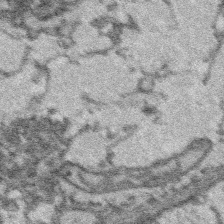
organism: Platynereis dumerilii